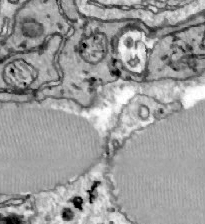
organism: Zebrafish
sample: Actinotrichia fibers